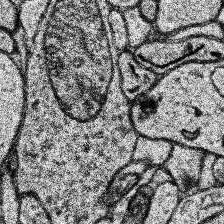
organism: Human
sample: Temporal Lobe